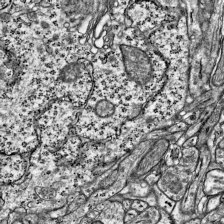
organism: Mouse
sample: Visual Cortex